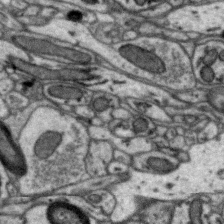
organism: Zebra finch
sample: Brain